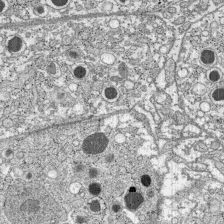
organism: C57BL Mouse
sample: Pancreatic islet